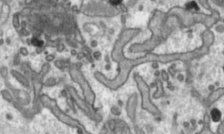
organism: Toxoplasma gondii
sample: Parasites in a vacuole inside a host cell